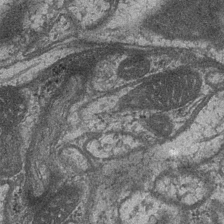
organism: Drosophila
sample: Optic medulla